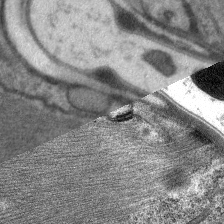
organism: C. elegans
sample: Pharynx